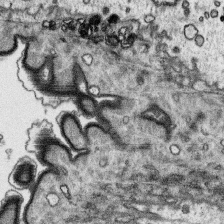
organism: Platynereis dumerilii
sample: Parapodia